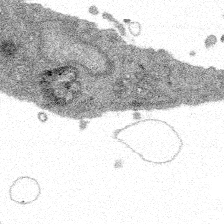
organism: Spongilla lacustris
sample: Multiple